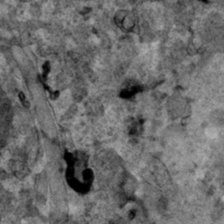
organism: Human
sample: Mitochondria in HCT116 cells